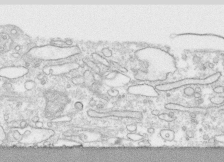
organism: Human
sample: CRL-1474